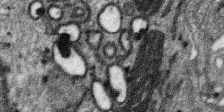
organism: Human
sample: Lung epithelial cells infected with SARS-CoV-2